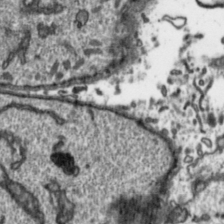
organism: Toxoplasma gondii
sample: Parasites in a vacuole inside a host cell